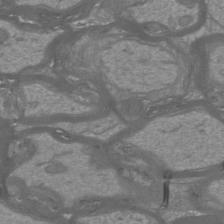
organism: Mouse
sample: Cortical neurons